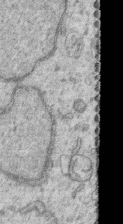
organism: Human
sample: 1205lu cells